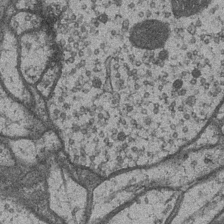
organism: Drosophila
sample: Optic medulla